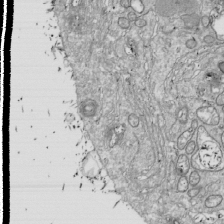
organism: Drosophila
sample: Cell division; meiosis; drosophila spermatocytes